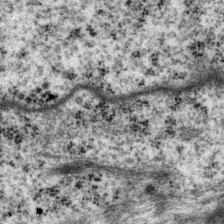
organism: P. pacificus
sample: Pharynx